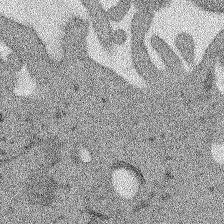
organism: Human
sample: HeLa cells